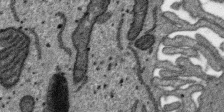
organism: Human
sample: Lung epithelial cells, uninfected (mock) control